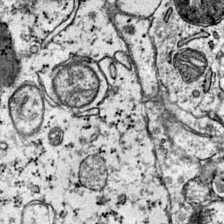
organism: Mouse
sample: Primary visual cortex